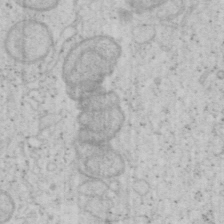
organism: Human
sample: HeLa cells